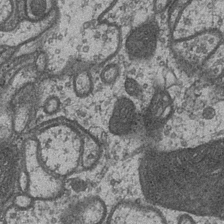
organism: Drosophila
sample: Optic medulla